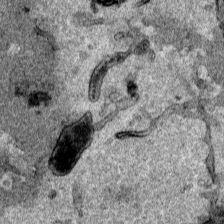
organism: Human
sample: Mitochondria in HCT116 cells